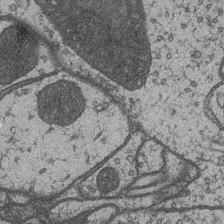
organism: Drosophila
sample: Optic medulla